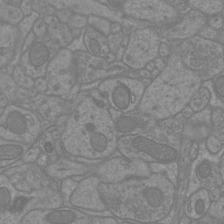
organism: Mouse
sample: Cortical neurons